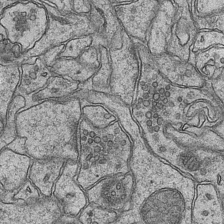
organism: Mouse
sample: CA1 Hippocampus